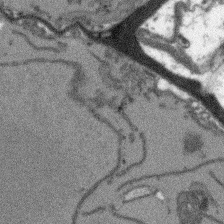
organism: Arabidopsis thaliana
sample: Root tip